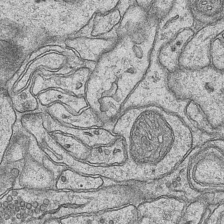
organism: Mouse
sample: CA1 Hippocampus